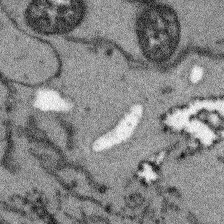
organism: Arabidopsis thaliana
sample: Root tip